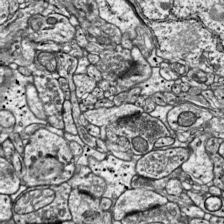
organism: Mouse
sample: Visual Cortex